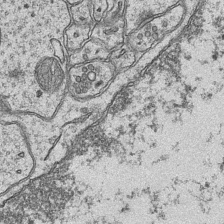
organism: Mouse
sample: CA1 Hippocampus